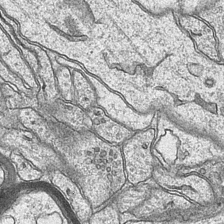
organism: Mouse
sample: CA1 Hippocampus